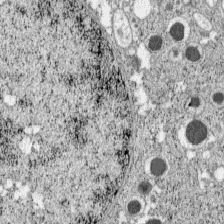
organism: C57BL Mouse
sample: Pancreatic islet